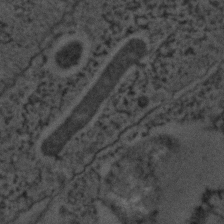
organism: C. elegans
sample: C. elegans embryo